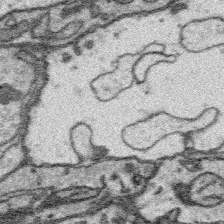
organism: Platynereis dumerilii